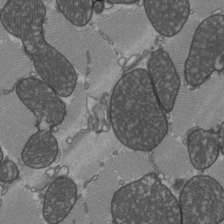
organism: C57BL Mouse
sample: Heart